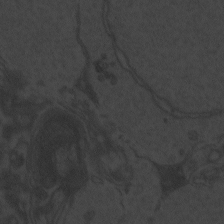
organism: Zebrafish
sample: Macrophage infected with Toxoplasma gondii